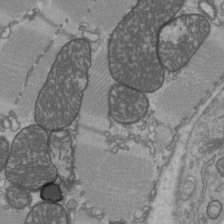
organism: C57BL Mouse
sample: Heart